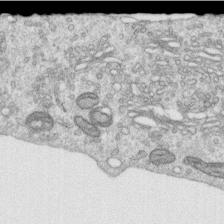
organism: Human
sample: Centriole in RPE cells